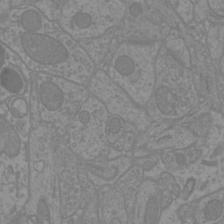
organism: Mouse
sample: Cortical neurons